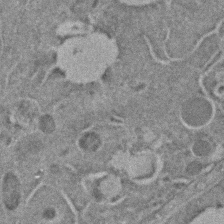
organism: C. elegans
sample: C. elegans embryo